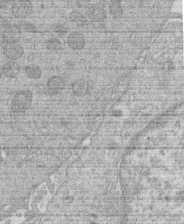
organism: Human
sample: Macrophage cells